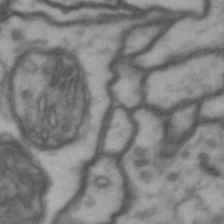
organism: Drosophila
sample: Brain